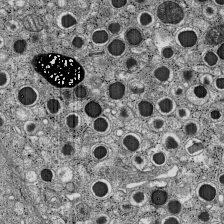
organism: C57BL Mouse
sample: Pancreatic islet